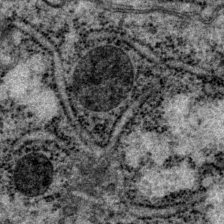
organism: P. pacificus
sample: Pharynx